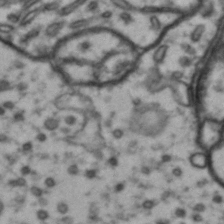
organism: Drosophila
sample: Brain